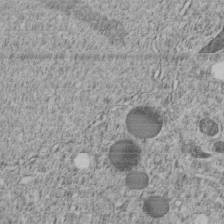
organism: C. elegans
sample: C. elegans embryo early stage